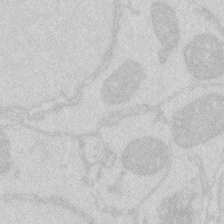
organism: Zebrafish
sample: Macrophage